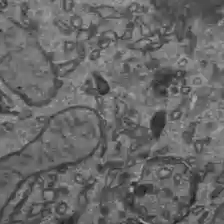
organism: C57BL Mouse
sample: Liver